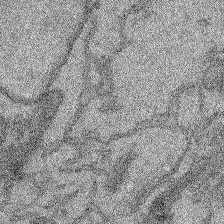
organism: Human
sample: HeLa cells